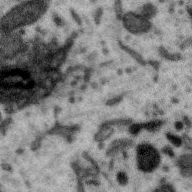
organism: Zebra finch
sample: Brain